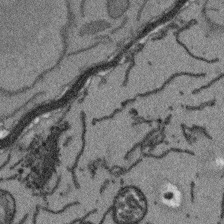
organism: Arabidopsis thaliana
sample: Root tip